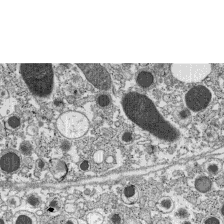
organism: C57BL Mouse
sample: Pancreatic islet